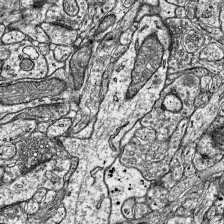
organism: Mouse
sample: Visual Cortex